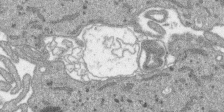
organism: Human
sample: Lung epithelial cells infected with SARS-CoV-2